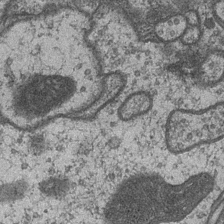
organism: Drosophila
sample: Optic medulla